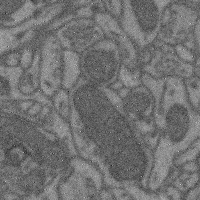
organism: Mouse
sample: Cerebral cortex